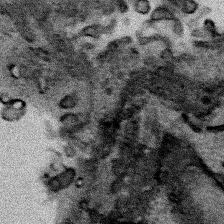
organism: Human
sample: Mitochondria in HCT116 cells